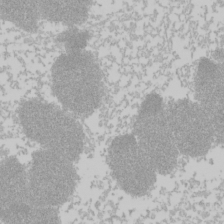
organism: Mouse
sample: Cancer cell death in ED-1 cells